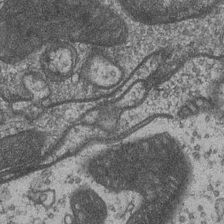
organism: Drosophila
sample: Optic medulla